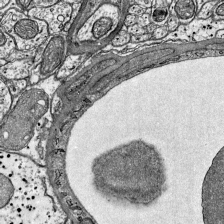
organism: Mouse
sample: Visual Cortex